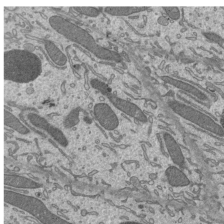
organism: Mouse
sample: Mouse epididymis efferent ductule cilia